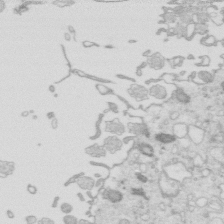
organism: Mouse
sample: Multiciliated cells